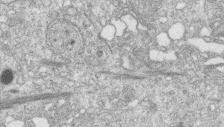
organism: Human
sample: HeLa cell HIV synapse